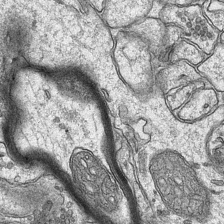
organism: Mouse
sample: CA1 Hippocampus